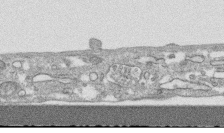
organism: Human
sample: CRL-1474